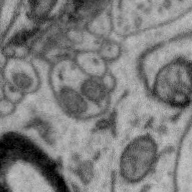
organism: Zebra finch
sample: Brain